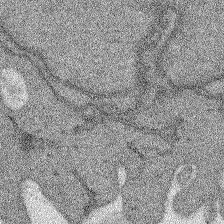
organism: Human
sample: HeLa cells